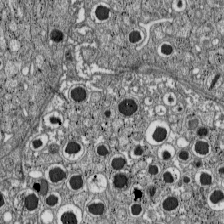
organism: C57BL Mouse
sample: Pancreatic islet